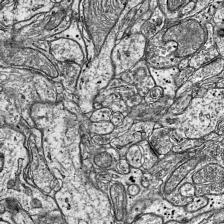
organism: Mouse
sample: Visual Cortex